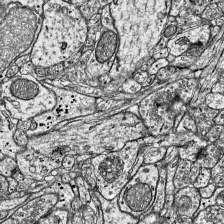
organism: Mouse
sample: Visual Cortex